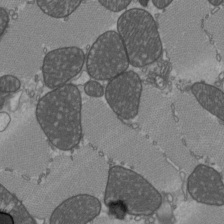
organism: C57BL Mouse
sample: Heart